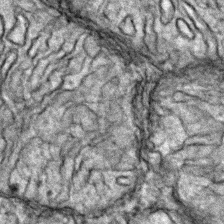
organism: Zebrafish